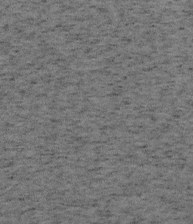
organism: Mouse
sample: OT-I killer T cells with ID8 ovarian cancer cells